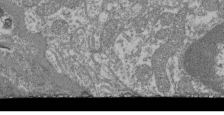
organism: Mouse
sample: Glomerulus